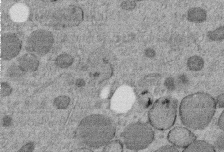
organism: C. elegans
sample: C. elegans embryo early stage